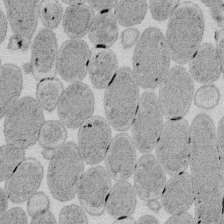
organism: E. coli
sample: Bacterial nucleoid